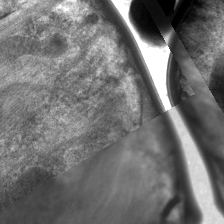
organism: C. elegans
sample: Pharynx